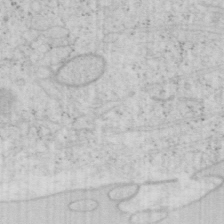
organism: Human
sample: HeLa cells